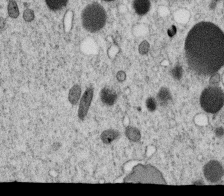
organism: C. elegans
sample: C. elegans oocyte; sperm cells